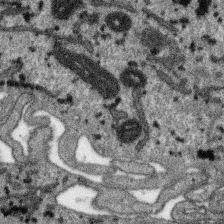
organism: Human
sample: Lung epithelial cells infected with SARS-CoV-2